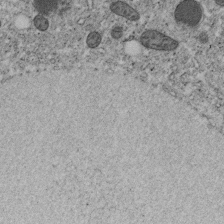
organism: C. elegans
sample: C. elegans embryo early stage